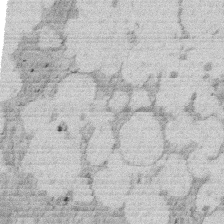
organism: Rat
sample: Salivary granule